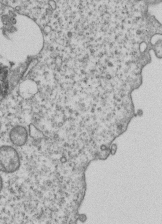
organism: Human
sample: MDA-MB-231 cells